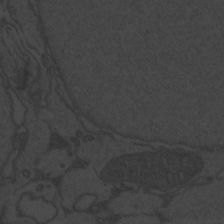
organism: Zebrafish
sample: Macrophage infected with Toxoplasma gondii